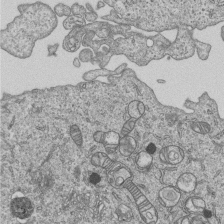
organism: Human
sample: MDA-MB-231 cells